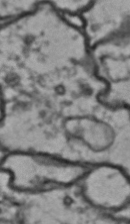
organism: Drosophila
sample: Brain